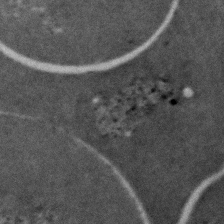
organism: Zebrafish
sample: Zebrafish embryo